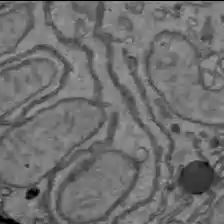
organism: C57BL Mouse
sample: Liver